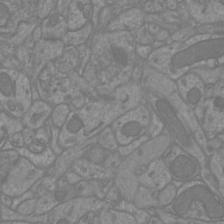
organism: Mouse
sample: Cortical neurons